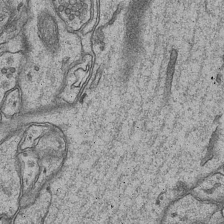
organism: Mouse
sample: CA1 Hippocampus